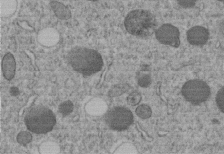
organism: C. elegans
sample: C. elegans embryo early stage